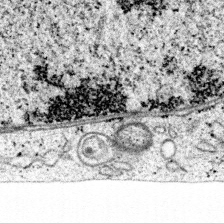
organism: Human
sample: HeLa cells